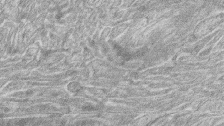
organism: Zebrafish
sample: synaptic ribbons in rod cells and cone cells